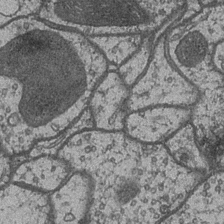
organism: Drosophila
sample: Optic medulla